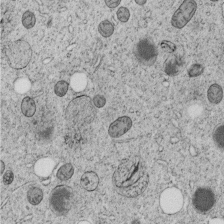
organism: C. elegans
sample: C. elegans embryo early stage